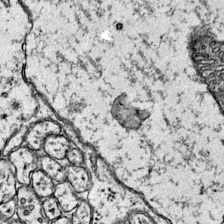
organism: Mouse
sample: Primary visual cortex